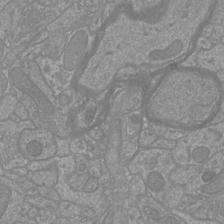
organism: Mouse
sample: Cortical neurons